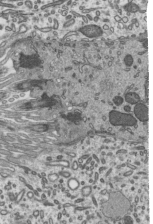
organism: Mouse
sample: Mouse epididymis efferent ductule cilia